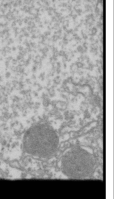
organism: Drosophila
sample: Cell division; meiosis; drosophila spermatocytes